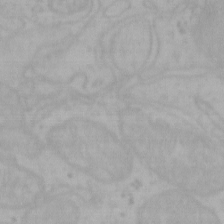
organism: Mouse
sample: Choroid plexus